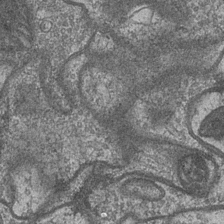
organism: Drosophila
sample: Optic medulla